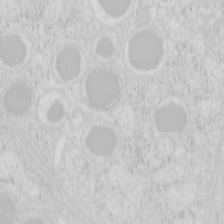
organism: Mouse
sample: Pancreas